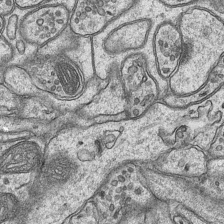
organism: Mouse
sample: CA1 Hippocampus